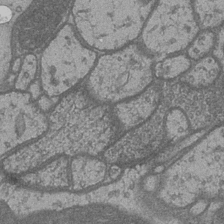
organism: Drosophila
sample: Optic medulla